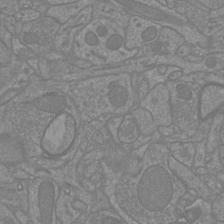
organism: Mouse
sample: Cortical neurons